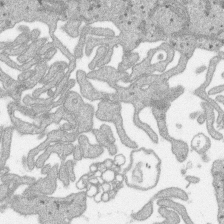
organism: Human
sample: Lung epithelial cells infected with SARS-CoV-2